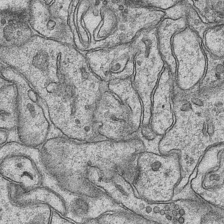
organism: Mouse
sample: CA1 Hippocampus